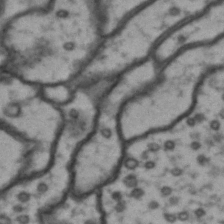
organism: Drosophila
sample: Brain